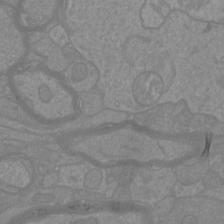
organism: Mouse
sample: Cortical neurons